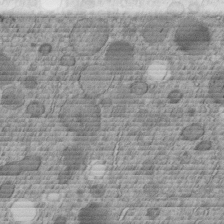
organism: C. elegans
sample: C. elegans embryo early stage